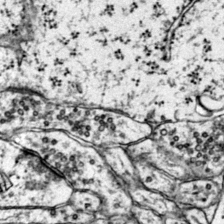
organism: Mouse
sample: Primary visual cortex